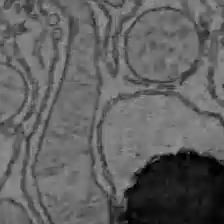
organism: C57BL Mouse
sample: Liver